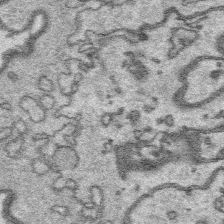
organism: Platynereis dumerilii